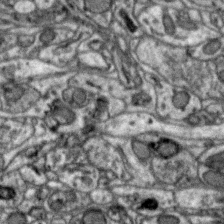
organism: Zebra finch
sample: Brain